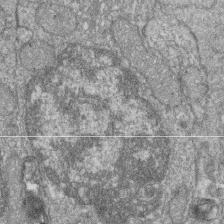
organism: Zebrafish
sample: Cilia; retinal pigment epithelium